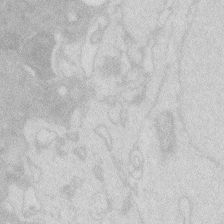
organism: Zebrafish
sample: Macrophage